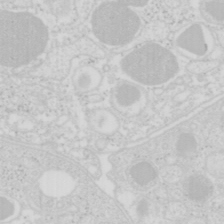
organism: Mouse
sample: Pancreas